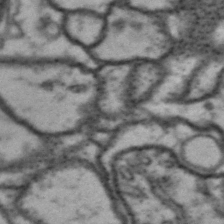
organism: Drosophila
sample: Brain